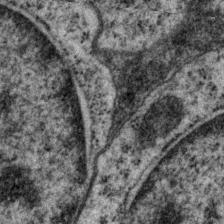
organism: P. pacificus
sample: Pharynx